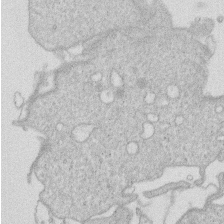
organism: Human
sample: Macrophage cells